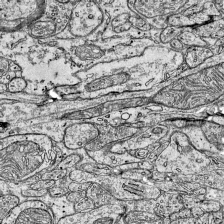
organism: Mouse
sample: Visual Cortex